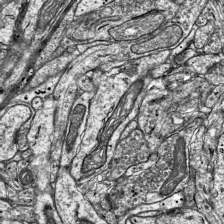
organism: Mouse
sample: Visual Cortex